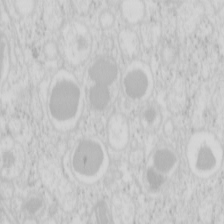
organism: Mouse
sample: Pancreas